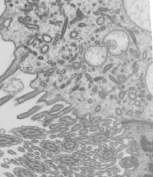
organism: Mouse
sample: Mouse epididymis efferent ductule cilia